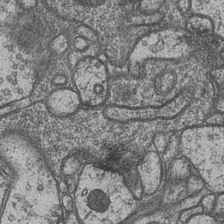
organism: Drosophila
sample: Optic medulla